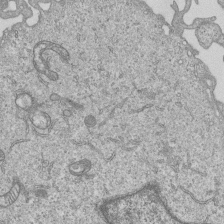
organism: Human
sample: MDA-MB-231 cells